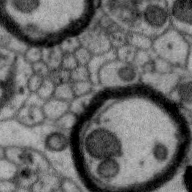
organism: Zebra finch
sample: Brain